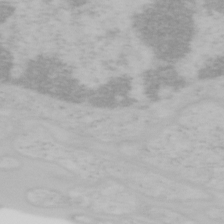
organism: Mouse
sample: OT-I killer T cells with ID8 ovarian cancer cells